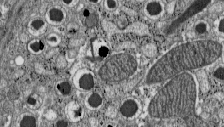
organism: C57BL Mouse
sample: Pancreatic islet